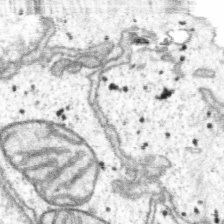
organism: Human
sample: HeLa cells